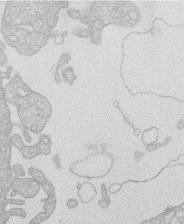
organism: Human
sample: Macrophage cells